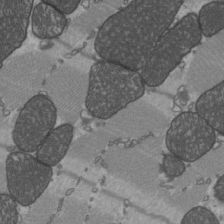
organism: C57BL Mouse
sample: Heart